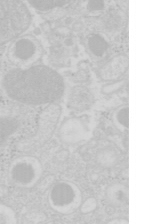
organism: Mouse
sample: Pancreas